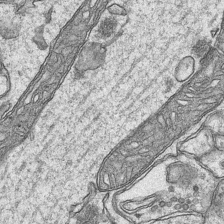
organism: Mouse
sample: CA1 Hippocampus